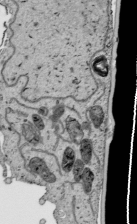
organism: Human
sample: Mitochondria in HCT116 cells